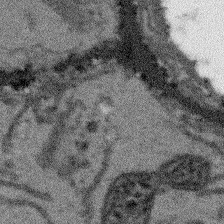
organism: Arabidopsis thaliana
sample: Root tip